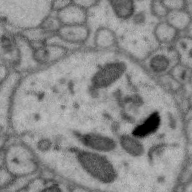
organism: Zebra finch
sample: Brain